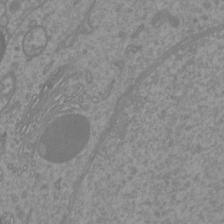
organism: Mouse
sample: Cortical neurons